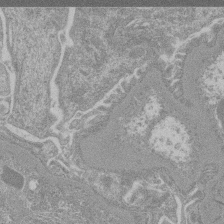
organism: Mouse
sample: Glomerulus